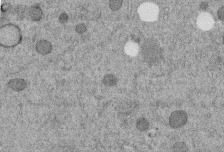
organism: C. elegans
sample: C. elegans embryo early stage